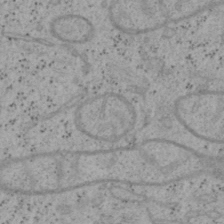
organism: Human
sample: HeLa cells